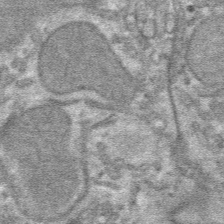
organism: Mouse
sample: Mouse hepatocytes